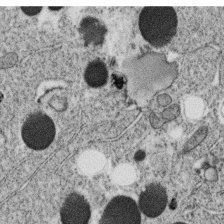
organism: C. elegans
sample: C. elegans oocyte; sperm cells